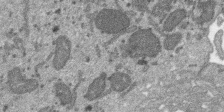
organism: Human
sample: Lung epithelial cells infected with SARS-CoV-2